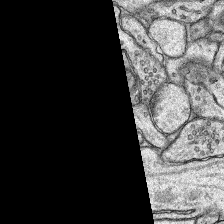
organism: Rat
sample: Hippocampus